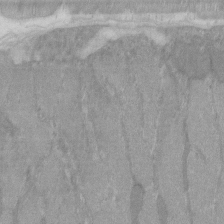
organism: C57BL Mouse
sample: Tibialis anterior muscle cell